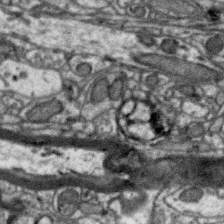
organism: Zebra finch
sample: Brain